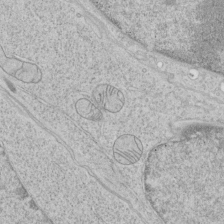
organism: Human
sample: Mitochondria in HCT116 cells